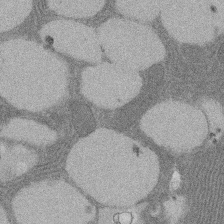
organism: Rat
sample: Salivary granule